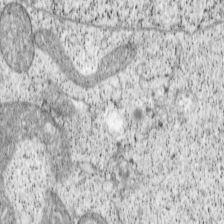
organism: African green monkey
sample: COS-7 cells